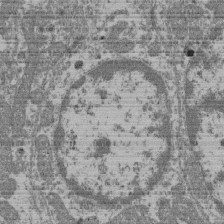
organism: Mouse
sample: Glomerulus